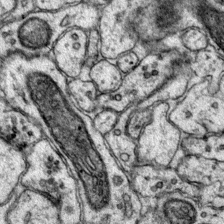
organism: Mouse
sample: Primary visual cortex